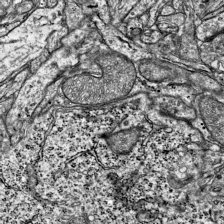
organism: Mouse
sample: Visual Cortex